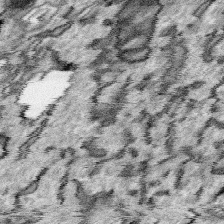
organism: Human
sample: HeLa cells